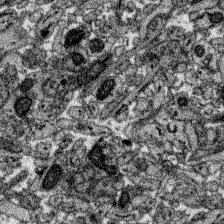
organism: Zebrafish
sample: Larval olfactory bulb